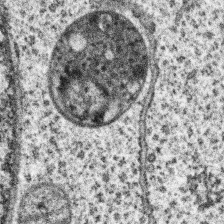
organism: Human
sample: HeLa cells